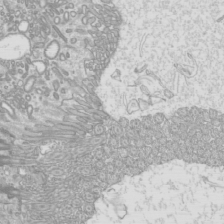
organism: Mouse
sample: Cilia; mouse epididymis